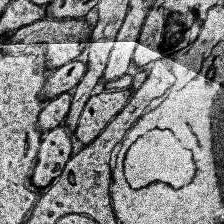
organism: Human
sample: Temporal Lobe